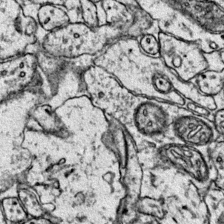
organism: Mouse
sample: Primary visual cortex